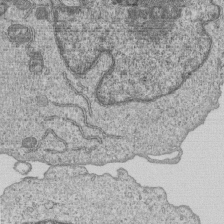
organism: Human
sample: MDA-MB-231 cells